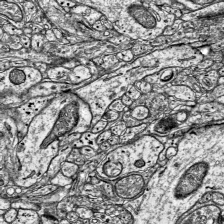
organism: Mouse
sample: Visual Cortex